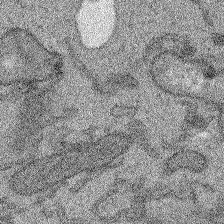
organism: Human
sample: HeLa cells